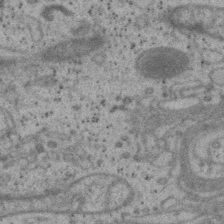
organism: Human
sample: HeLa cells